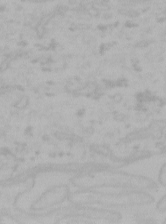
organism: Mouse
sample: Choroid plexus